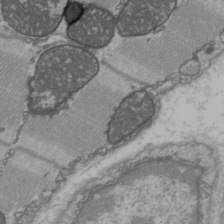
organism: C57BL Mouse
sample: Heart